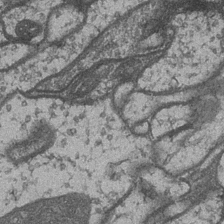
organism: Drosophila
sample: Optic medulla